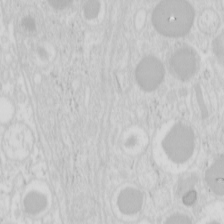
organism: Mouse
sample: Pancreas